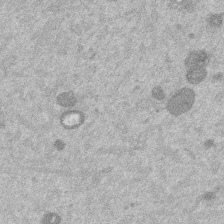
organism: Mouse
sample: Dividing mouse embryo 1 cell stage